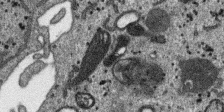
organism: Human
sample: Lung epithelial cells infected with SARS-CoV-2